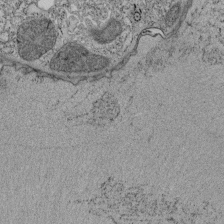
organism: Tetrahymena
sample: Cilia in tetrahymena